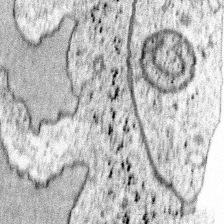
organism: Human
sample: HeLa cells